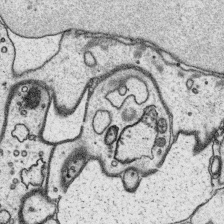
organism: Platynereis dumerilii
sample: Parapodia